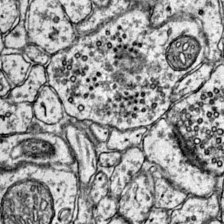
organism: Mouse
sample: Primary visual cortex